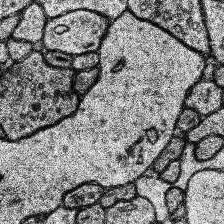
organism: Human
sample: Temporal Lobe